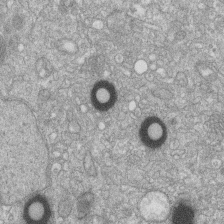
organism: Human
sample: HeLa cell HIV synapse